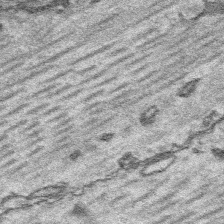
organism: Platynereis dumerilii